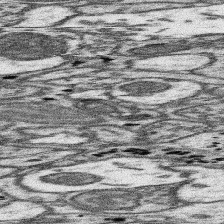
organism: Mouse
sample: Somatosensory cortex neuropil